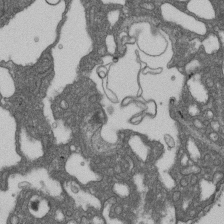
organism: Drosophila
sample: Nephrocyte